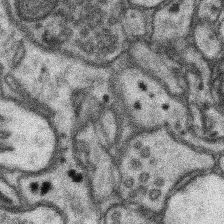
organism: Mouse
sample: Somatosensory cortex neuropil